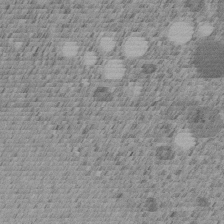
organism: C. elegans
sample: C. elegans embryo early stage